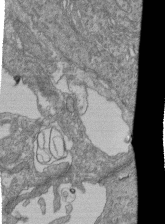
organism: Human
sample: Retinal organoid Rod and Cone cells